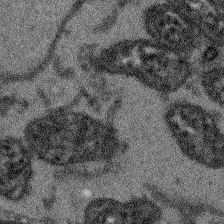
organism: Arabidopsis thaliana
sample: Root tip